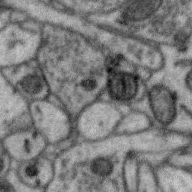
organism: Zebra finch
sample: Brain